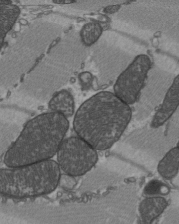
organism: C57BL Mouse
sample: Heart